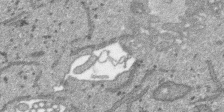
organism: Human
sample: Lung epithelial cells infected with SARS-CoV-2